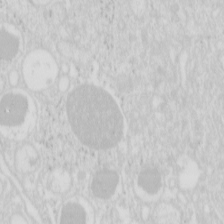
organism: Mouse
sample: Pancreas